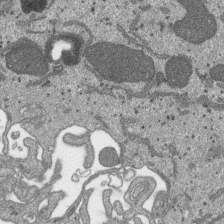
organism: Human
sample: Lung epithelial cells infected with SARS-CoV-2